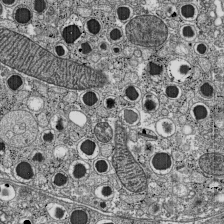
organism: C57BL Mouse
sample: Pancreatic islet